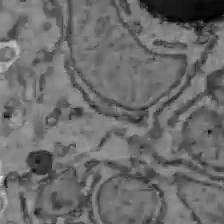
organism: C57BL Mouse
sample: Liver